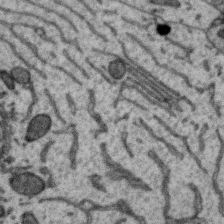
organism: Zebra finch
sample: Brain